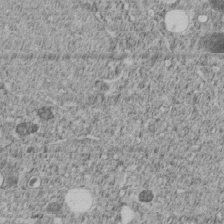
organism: C. elegans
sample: C. elegans embryo early stage